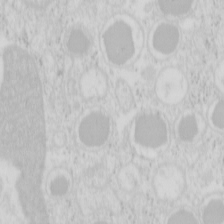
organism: Mouse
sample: Pancreas